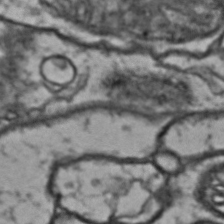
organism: Drosophila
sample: Brain